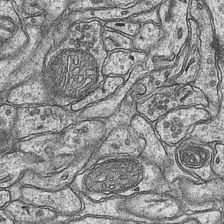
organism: Mouse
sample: CA1 Hippocampus